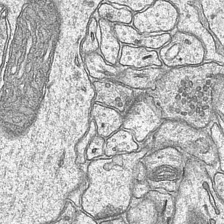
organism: Mouse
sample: CA1 Hippocampus